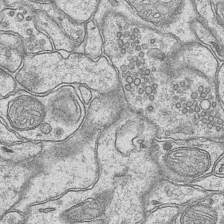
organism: Mouse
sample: CA1 Hippocampus